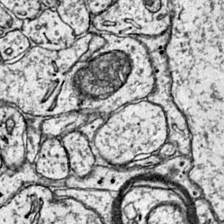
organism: Mouse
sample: Primary visual cortex